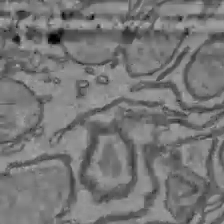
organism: C57BL Mouse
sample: Liver